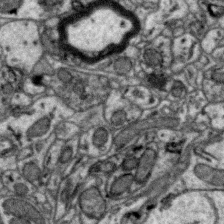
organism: Zebra finch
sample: Brain